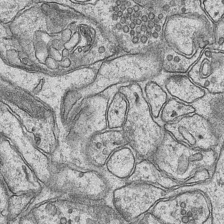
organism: Mouse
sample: CA1 Hippocampus